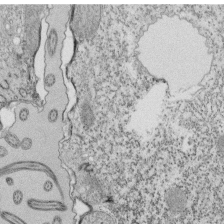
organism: Tetrahymena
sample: Cilia in tetrahymena